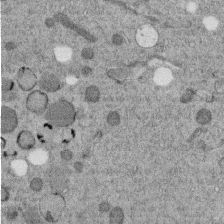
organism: C. elegans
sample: C. elegans embryo early stage